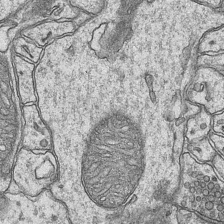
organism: Mouse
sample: CA1 Hippocampus